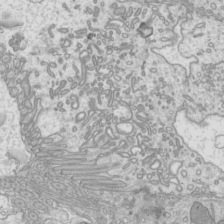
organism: Mouse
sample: Cilia; mouse epididymis